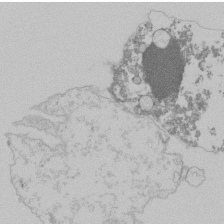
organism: Mouse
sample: Activated Pmel transgenic CD8+ T Cells